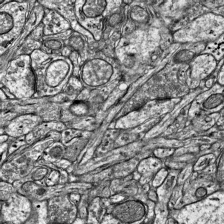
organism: Mouse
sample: Visual Cortex